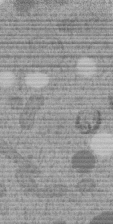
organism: C. elegans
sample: C. elegans embryo early stage